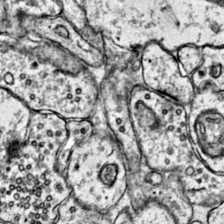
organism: Mouse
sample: Primary visual cortex